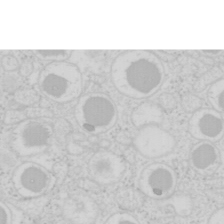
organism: Mouse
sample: Pancreas